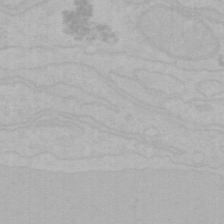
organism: Mouse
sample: Choroid plexus